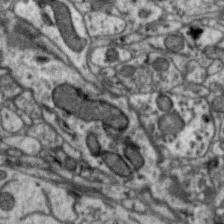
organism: Zebra finch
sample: Brain